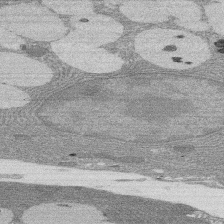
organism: Rat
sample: Salivary granule